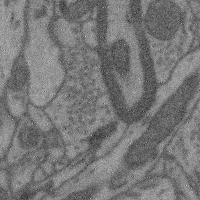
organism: Mouse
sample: Cerebral cortex